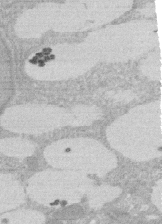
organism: Rat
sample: Salivary granule